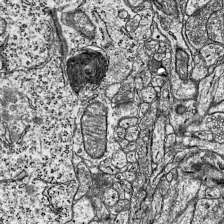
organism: Mouse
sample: Visual Cortex